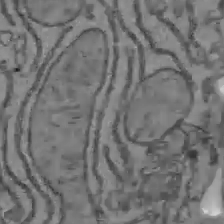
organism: C57BL Mouse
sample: Liver